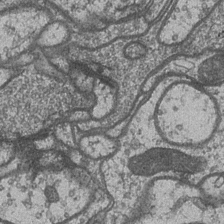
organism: Drosophila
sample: Optic medulla